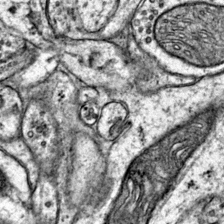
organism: Mouse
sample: Primary visual cortex